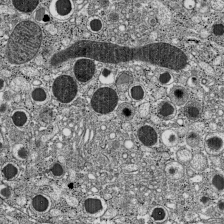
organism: C57BL Mouse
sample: Pancreatic islet